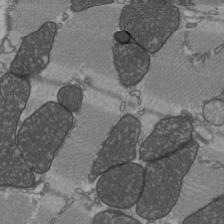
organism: C57BL Mouse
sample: Heart